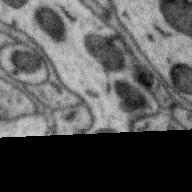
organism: Zebra finch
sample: Brain